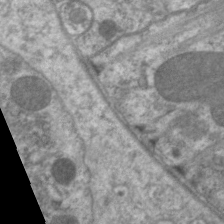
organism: C. elegans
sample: Pharynx